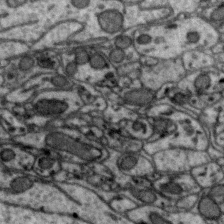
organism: Zebra finch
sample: Brain